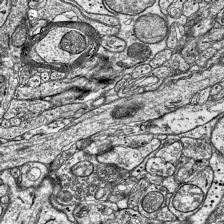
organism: Mouse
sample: Visual Cortex